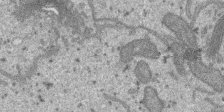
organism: Human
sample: Lung epithelial cells infected with SARS-CoV-2